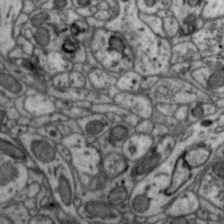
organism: Zebra finch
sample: Brain